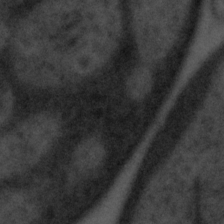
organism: Tuwongella immobilis